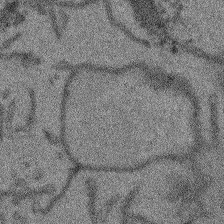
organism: Arabidopsis thaliana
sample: Root tip